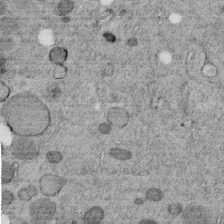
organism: C. elegans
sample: C. elegans embryo early stage